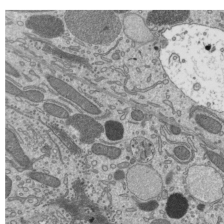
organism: Mouse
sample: Mouse epididymis efferent ductule cilia